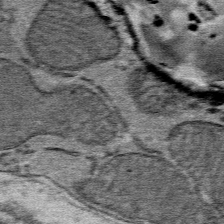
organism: Mouse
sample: Mouse Salivary gland